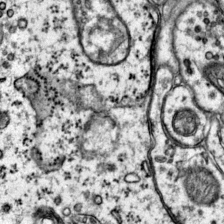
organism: Mouse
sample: Primary visual cortex